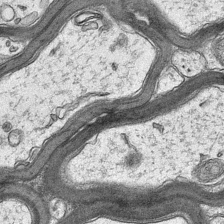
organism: Mouse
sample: CA1 Hippocampus